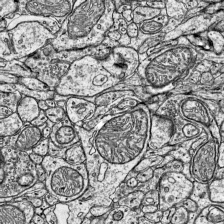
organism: Mouse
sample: Visual Cortex